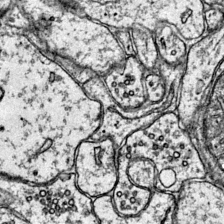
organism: Mouse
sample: Primary visual cortex